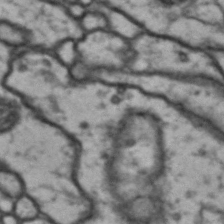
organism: Drosophila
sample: Brain